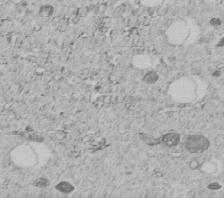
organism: C. elegans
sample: C. elegans embryo early stage